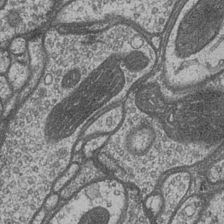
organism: Drosophila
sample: Optic medulla